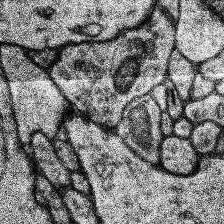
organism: Human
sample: Temporal Lobe